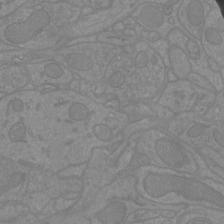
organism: Mouse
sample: Cortical neurons